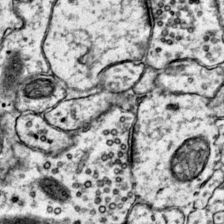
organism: Mouse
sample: Primary visual cortex